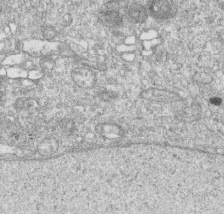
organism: Human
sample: HeLa cell HIV synapse